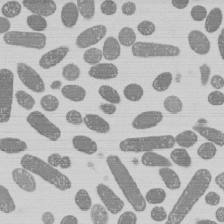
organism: E. coli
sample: Bacterial nucleoid